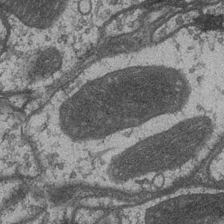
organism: Drosophila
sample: Optic medulla